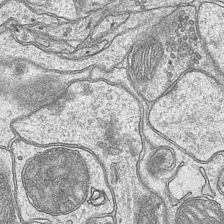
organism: Mouse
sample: CA1 Hippocampus